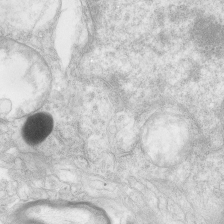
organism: Human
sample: Neocortex